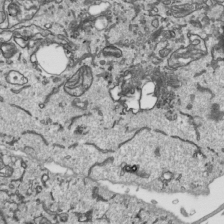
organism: Human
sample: Mitochondria in HCT116 cells